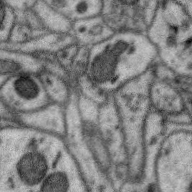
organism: Zebra finch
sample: Brain